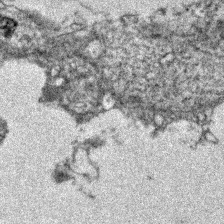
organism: Zebrafish